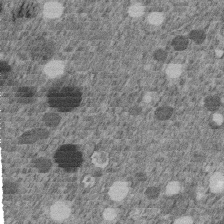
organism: C. elegans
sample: C. elegans embryo early stage